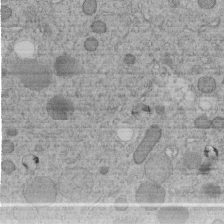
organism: C. elegans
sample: C. elegans embryo early stage